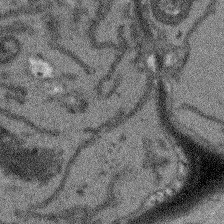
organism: Arabidopsis thaliana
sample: Root tip